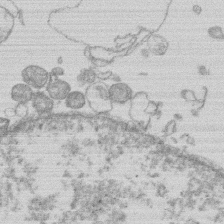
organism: Human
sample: Macrophage cells